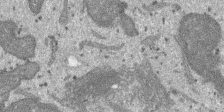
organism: Human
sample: Lung epithelial cells infected with SARS-CoV-2